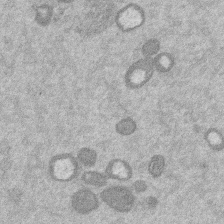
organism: Mouse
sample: Dividing mouse embryo 1 cell stage